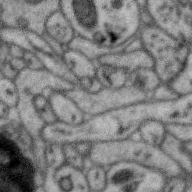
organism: Zebra finch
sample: Brain